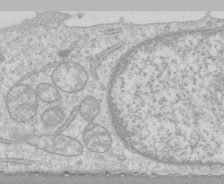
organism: Human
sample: CRL-1474